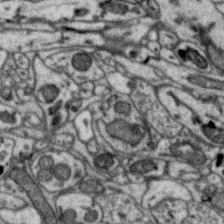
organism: Zebra finch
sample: Brain